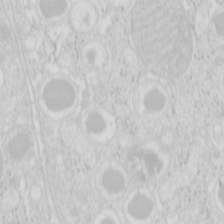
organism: Mouse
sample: Pancreas